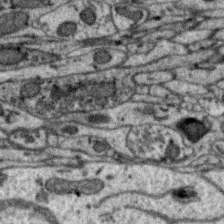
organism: Zebra finch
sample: Brain